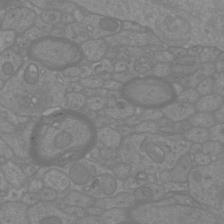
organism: Mouse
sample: Cortical neurons